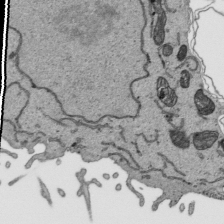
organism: Human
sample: Mitochondria in HCT116 cells